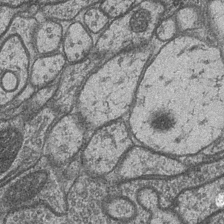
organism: Drosophila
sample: Optic medulla